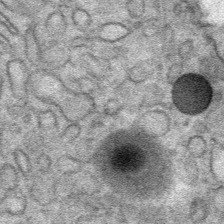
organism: Mouse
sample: Mouse Salivary gland